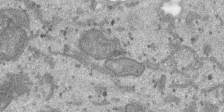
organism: Human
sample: Lung epithelial cells infected with SARS-CoV-2